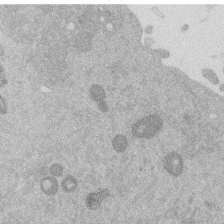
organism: Mouse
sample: Dividing mouse embryo 1 cell stage